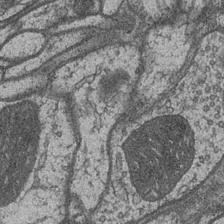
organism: Drosophila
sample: Optic medulla